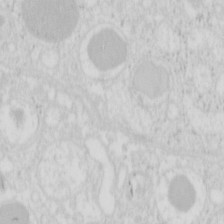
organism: Mouse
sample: Pancreas